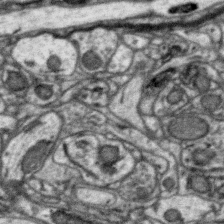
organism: Zebra finch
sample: Brain